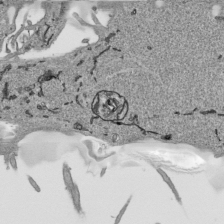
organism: Human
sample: Mitochondria in HCT116 cells